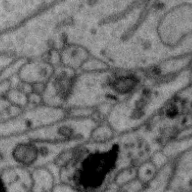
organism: Zebra finch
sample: Brain